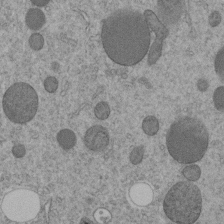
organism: C. elegans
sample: C. elegans embryo early stage